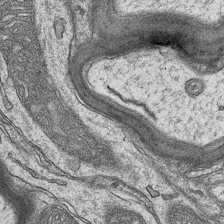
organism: Mouse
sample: CA1 Hippocampus